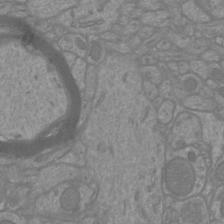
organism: Mouse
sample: Cortical neurons